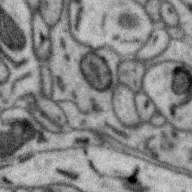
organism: Zebra finch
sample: Brain